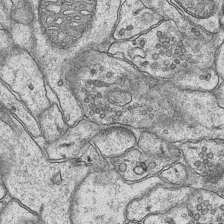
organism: Mouse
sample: CA1 Hippocampus